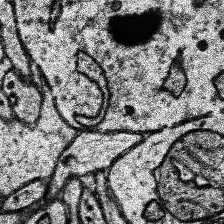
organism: Human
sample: Temporal Lobe